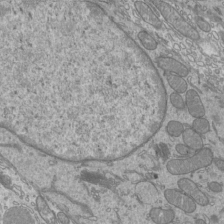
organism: Mouse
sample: Cilia; mouse epididymis